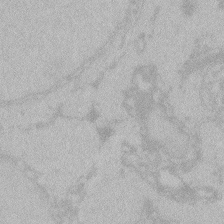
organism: Zebrafish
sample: Macrophage infected with Toxoplasma gondii